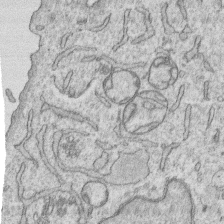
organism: Human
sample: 1205lu cells